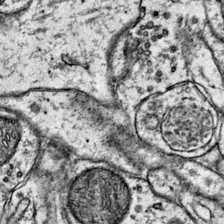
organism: Mouse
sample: Primary visual cortex